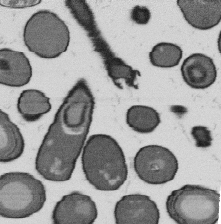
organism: B. subtilis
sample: Bacterial spore